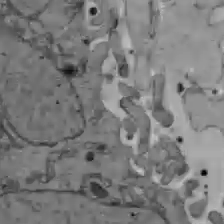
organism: C57BL Mouse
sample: Liver